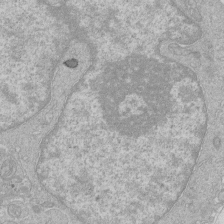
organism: Human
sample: Macrophage cells